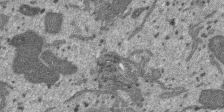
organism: Human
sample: Lung epithelial cells infected with SARS-CoV-2